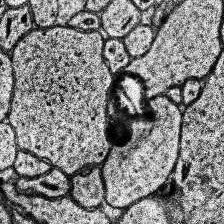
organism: Human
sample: Temporal Lobe